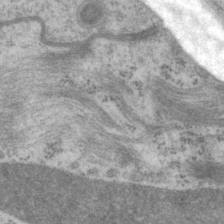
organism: P. pacificus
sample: Pharynx